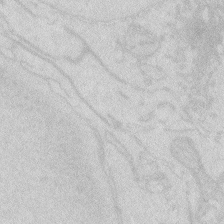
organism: Zebrafish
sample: Macrophage